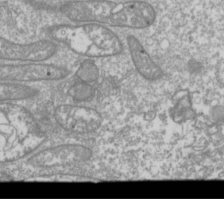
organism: Drosophila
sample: Cell division; meiosis; drosophila spermatocytes